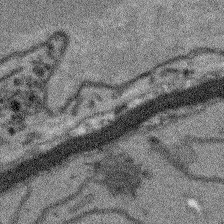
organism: Arabidopsis thaliana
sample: Root tip